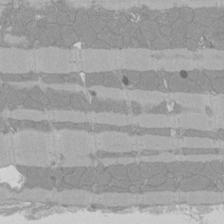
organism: Rat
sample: Left ventricle